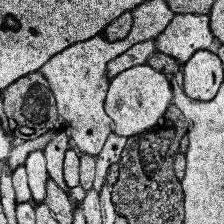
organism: Human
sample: Temporal Lobe